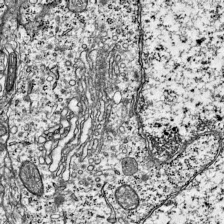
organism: Mouse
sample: Visual Cortex